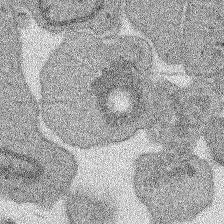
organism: Human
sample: HeLa cells